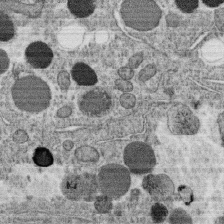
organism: C. elegans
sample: C. elegans oocyte; sperm cells